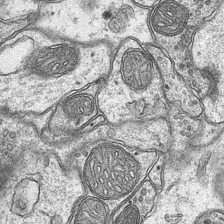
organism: Mouse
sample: CA1 Hippocampus